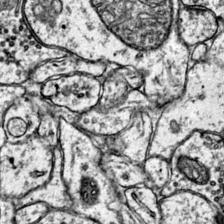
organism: Mouse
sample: Primary visual cortex